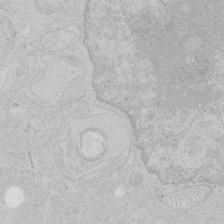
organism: Human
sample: Mitochondria in HCT116 cells